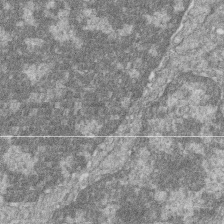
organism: Zebrafish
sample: Cilia; retinal pigment epithelium